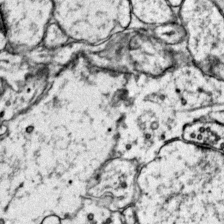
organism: Mouse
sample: Primary visual cortex